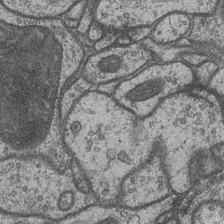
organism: Drosophila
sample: Optic medulla